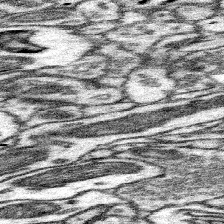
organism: Mouse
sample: Somatosensory cortex neuropil